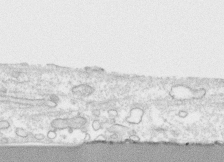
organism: Human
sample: CRL-1474